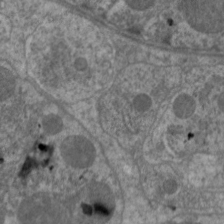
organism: C. elegans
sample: Pharynx